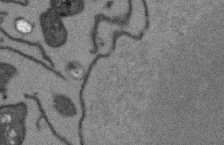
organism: Arabidopsis thaliana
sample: Root tip